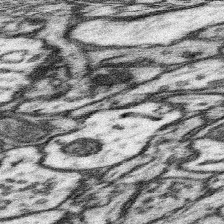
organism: Mouse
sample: Somatosensory cortex neuropil